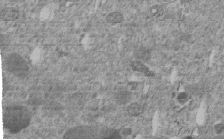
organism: C. elegans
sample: C. elegans embryo early stage